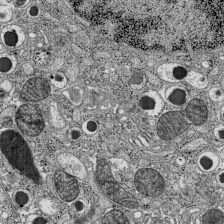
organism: C57BL Mouse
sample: Pancreatic islet